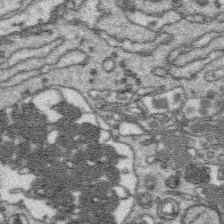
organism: Platynereis dumerilii